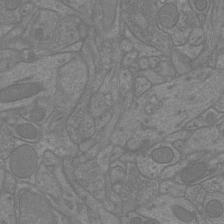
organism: Mouse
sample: Cortical neurons